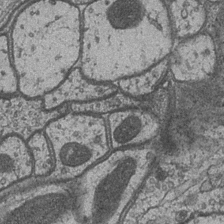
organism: Drosophila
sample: Optic medulla